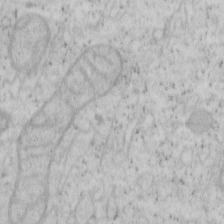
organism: Human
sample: HeLa cells